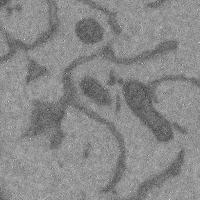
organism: Mouse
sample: Cerebral cortex